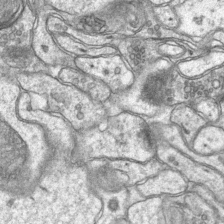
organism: Mouse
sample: CA1 Hippocampus